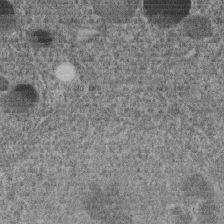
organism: C. elegans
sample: C. elegans embryo early stage